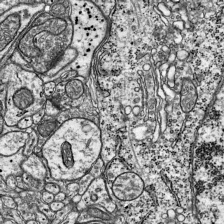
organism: Mouse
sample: Visual Cortex